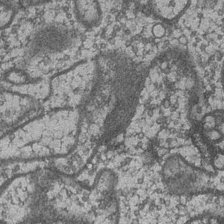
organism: Drosophila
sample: Optic medulla